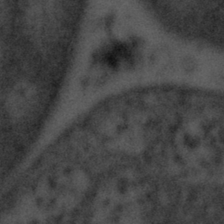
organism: Tuwongella immobilis